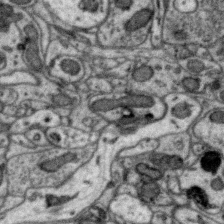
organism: Zebra finch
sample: Brain